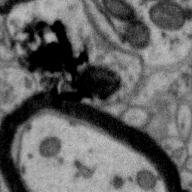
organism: Zebra finch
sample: Brain